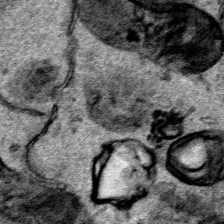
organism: Human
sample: Mitochondria in HCT116 cells